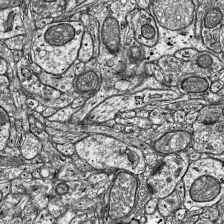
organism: Mouse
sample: Visual Cortex